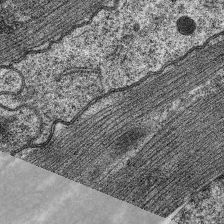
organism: C. elegans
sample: Pharynx